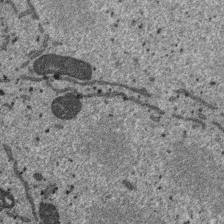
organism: Human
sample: Lung epithelial cells infected with SARS-CoV-2